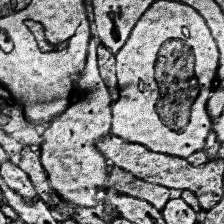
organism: Human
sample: Temporal Lobe